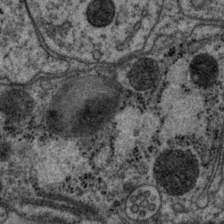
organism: P. pacificus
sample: Pharynx